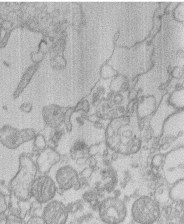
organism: Human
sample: Macrophage cells